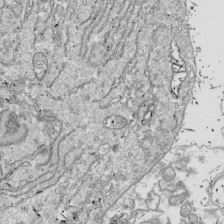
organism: Drosophila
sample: Cell division; meiosis; drosophila spermatocytes